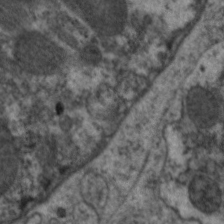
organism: C. elegans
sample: Pharynx